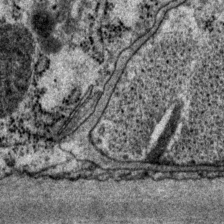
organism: P. pacificus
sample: Pharynx